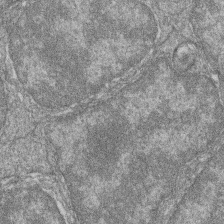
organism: Zebrafish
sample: Cilia; retinal pigment epithelium